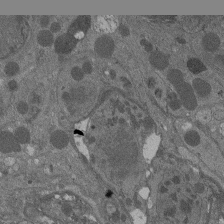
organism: Drosophila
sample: Antenna